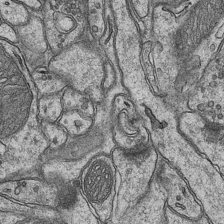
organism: Mouse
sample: CA1 Hippocampus